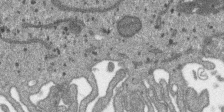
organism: Human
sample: Lung epithelial cells infected with SARS-CoV-2